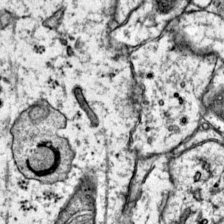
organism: Mouse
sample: Primary visual cortex